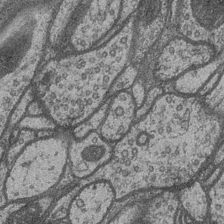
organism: Drosophila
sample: Optic medulla